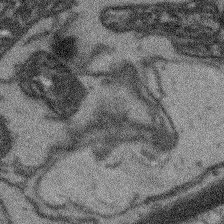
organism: Arabidopsis thaliana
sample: Root tip